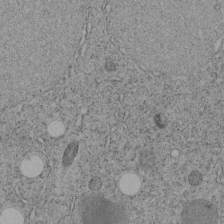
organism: C. elegans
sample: C. elegans embryo early stage